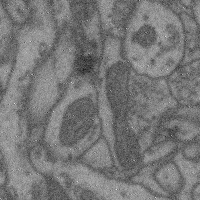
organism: Mouse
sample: Cerebral cortex